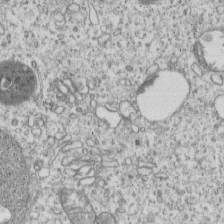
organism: Human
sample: MDA-MB-231 cells